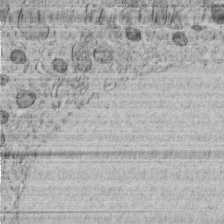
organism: C. elegans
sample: C. elegans embryo early stage